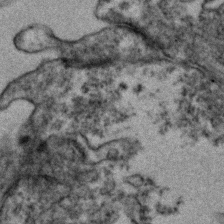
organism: Zebrafish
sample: Zebrafish embryo